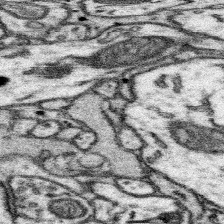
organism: Mouse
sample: Somatosensory cortex neuropil